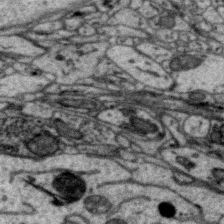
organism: Zebra finch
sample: Brain